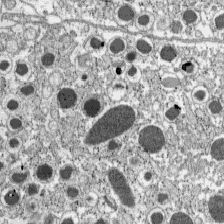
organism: C57BL Mouse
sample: Pancreatic islet